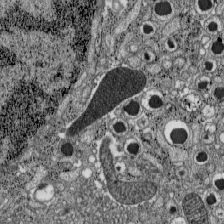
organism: C57BL Mouse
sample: Pancreatic islet